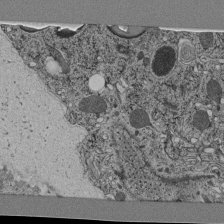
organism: C. elegans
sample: C. elegans pharynx